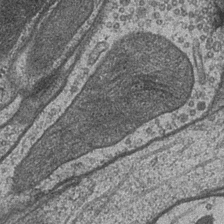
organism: Drosophila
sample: Optic medulla